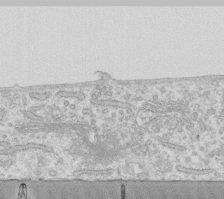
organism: Human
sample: Fibroblast cells